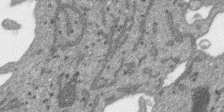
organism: Human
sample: Lung epithelial cells infected with SARS-CoV-2